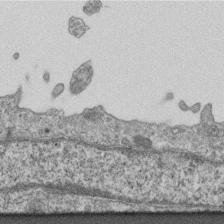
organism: Mouse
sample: Centriole in ependymal cells